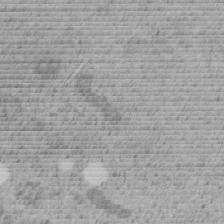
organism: C. elegans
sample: C. elegans embryo early stage